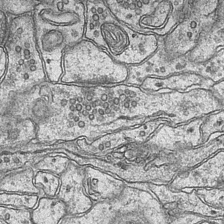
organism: Mouse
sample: CA1 Hippocampus